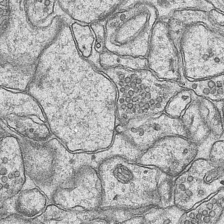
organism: Mouse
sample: CA1 Hippocampus